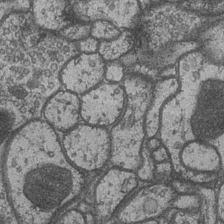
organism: Drosophila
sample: Optic medulla